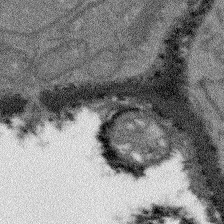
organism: Arabidopsis thaliana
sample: Root tip